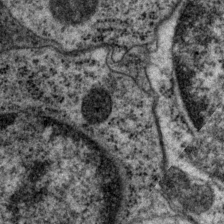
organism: P. pacificus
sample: Pharynx